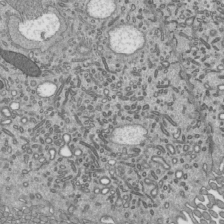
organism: Mouse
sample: Mouse epididymis efferent ductule cilia